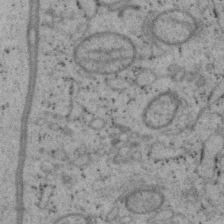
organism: Human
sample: HeLa cells